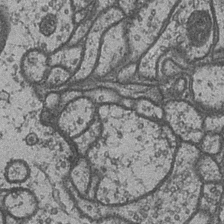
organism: Drosophila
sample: Optic medulla